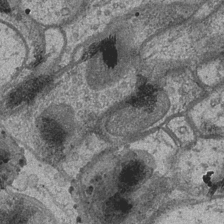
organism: Drosophila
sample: Optic medulla